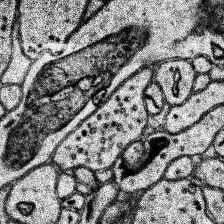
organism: Human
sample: Temporal Lobe